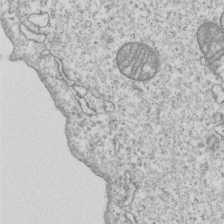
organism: Human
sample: MDA-MB-231 cells